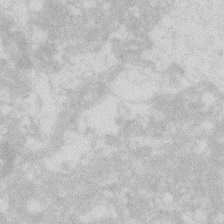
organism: Zebrafish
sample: Macrophage